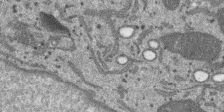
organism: Human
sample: Lung epithelial cells infected with SARS-CoV-2